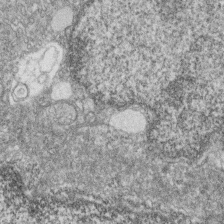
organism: Zebrafish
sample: Cilia; retinal pigment epithelium